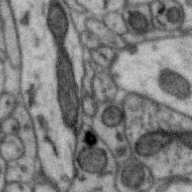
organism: Zebra finch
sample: Brain